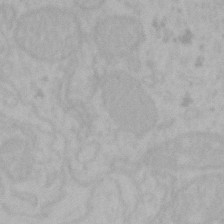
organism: Mouse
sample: Choroid plexus